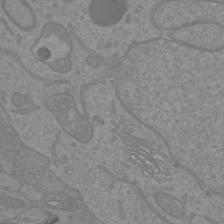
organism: Mouse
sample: Cortical neurons